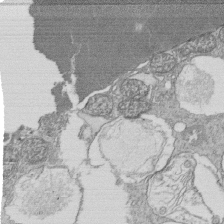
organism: Tetrahymena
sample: Cilia in tetrahymena